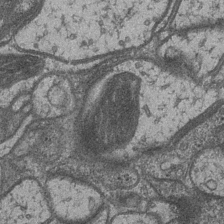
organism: Drosophila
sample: Optic medulla